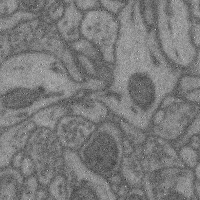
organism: Mouse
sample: Cerebral cortex